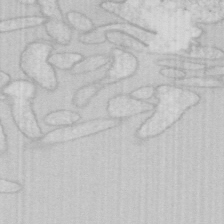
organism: Human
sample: HeLa cells